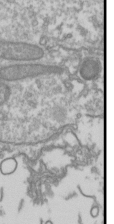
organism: Drosophila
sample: Cell division; meiosis; drosophila spermatocytes